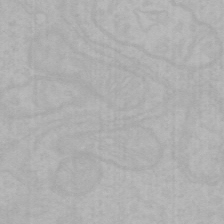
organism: Mouse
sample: Choroid plexus